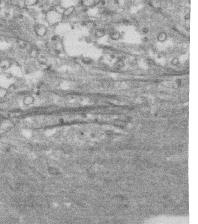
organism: Human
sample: CRL-1474